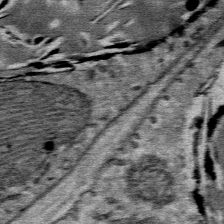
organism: Mouse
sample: Mouse Salivary gland